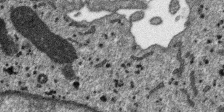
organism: Human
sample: Lung epithelial cells infected with SARS-CoV-2